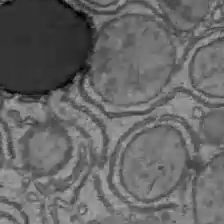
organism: C57BL Mouse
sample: Liver